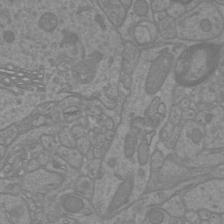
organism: Mouse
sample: Cortical neurons